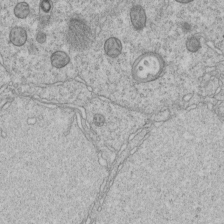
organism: C. elegans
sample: C. elegans embryo early stage